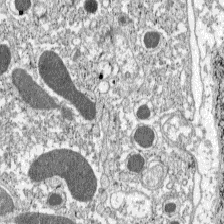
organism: C57BL Mouse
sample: Pancreatic islet